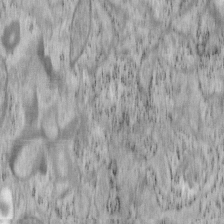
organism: Human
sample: HeLa cells